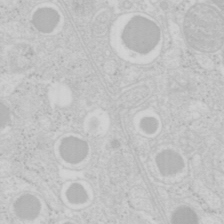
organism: Mouse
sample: Pancreas